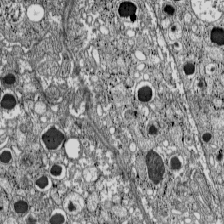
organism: C57BL Mouse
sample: Pancreatic islet